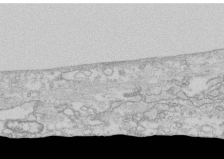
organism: Human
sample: CRL-1474